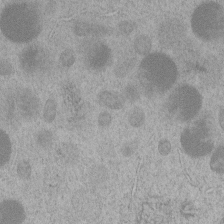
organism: C. elegans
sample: C. elegans embryo early stage